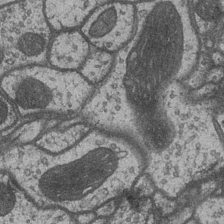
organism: Drosophila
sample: Optic medulla